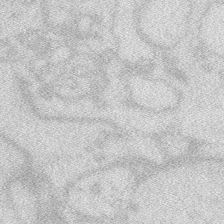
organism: Zebrafish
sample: Macrophage